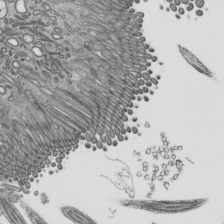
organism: Mouse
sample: Mouse epididymis efferent ductule cilia